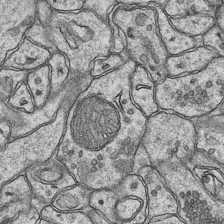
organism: Mouse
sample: CA1 Hippocampus